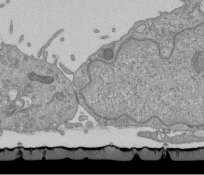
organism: Mouse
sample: ED-1 cell nuclei; centrioles